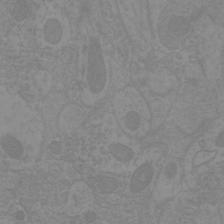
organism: Mouse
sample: Cortical neurons